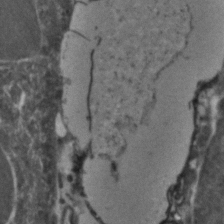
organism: Zebrafish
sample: Zebrafish embryo